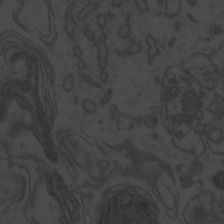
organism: Zebrafish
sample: Macrophage infected with Toxoplasma gondii